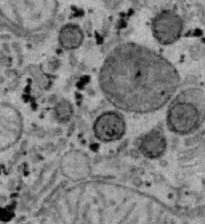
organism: Mouse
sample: Liver from an obese (ob/ob) mouse